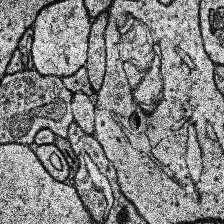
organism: Human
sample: Temporal Lobe